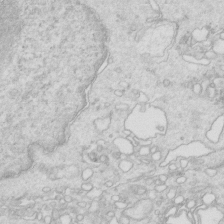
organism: Mouse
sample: Multiciliated cells